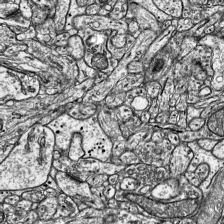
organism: Mouse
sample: Visual Cortex